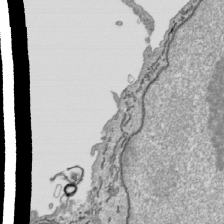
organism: Human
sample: Mitochondria in HCT116 cells